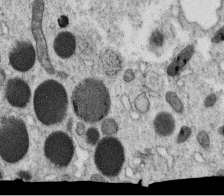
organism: C. elegans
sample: C. elegans oocyte; sperm cells